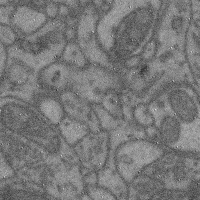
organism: Mouse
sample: Cerebral cortex